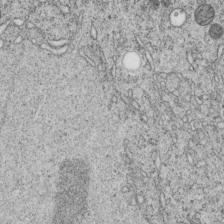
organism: C. elegans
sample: C. elegans embryo early stage